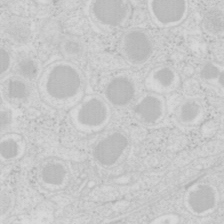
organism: Mouse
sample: Pancreas